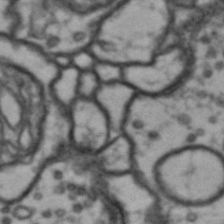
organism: Drosophila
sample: Brain